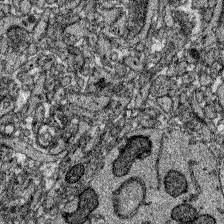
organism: Zebrafish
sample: Larval olfactory bulb